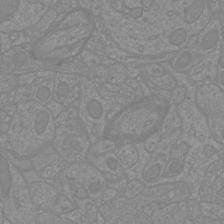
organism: Mouse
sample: Cortical neurons